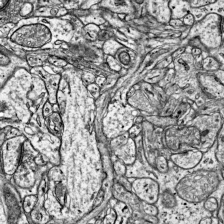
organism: Mouse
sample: Visual Cortex